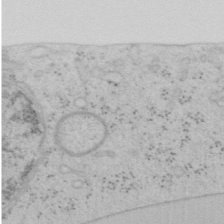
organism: Human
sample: HeLa cells